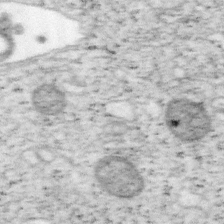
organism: Mouse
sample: OT-I killer T cells with ID8 ovarian cancer cells